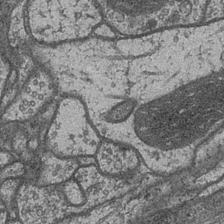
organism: Drosophila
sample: Optic medulla